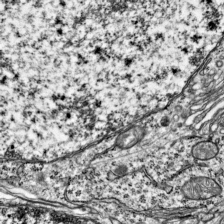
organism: Mouse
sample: Visual Cortex